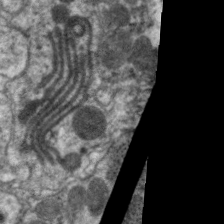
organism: C. elegans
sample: Pharynx